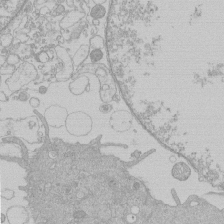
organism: Human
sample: Macrophage cells